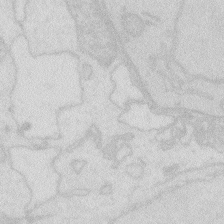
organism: Zebrafish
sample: Macrophage